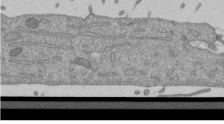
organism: Mouse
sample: ED-1 cell nuclei; centrioles